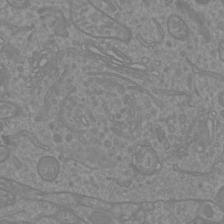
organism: Mouse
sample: Cortical neurons